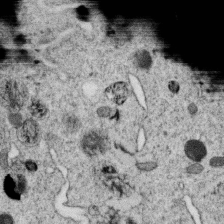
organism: C. elegans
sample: C. elegans oocyte; sperm cells